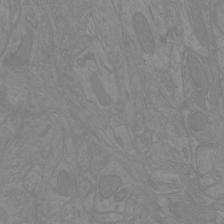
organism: Mouse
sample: Cortical neurons